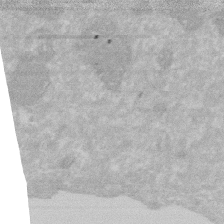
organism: Human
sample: HIV infected U937 cells